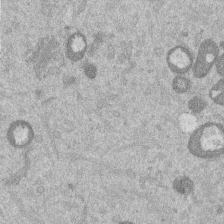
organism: Mouse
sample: Dividing mouse embryo 1 cell stage